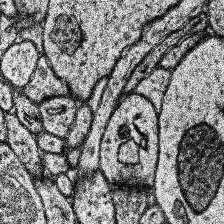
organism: Human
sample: Temporal Lobe